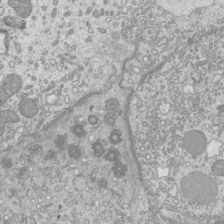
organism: Mouse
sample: Cilia; mouse epididymis